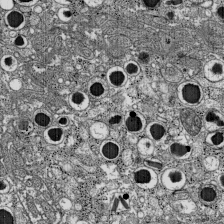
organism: C57BL Mouse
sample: Pancreatic islet